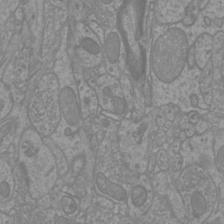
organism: Mouse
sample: Cortical neurons